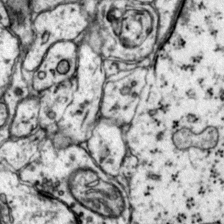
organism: Mouse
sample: Primary visual cortex